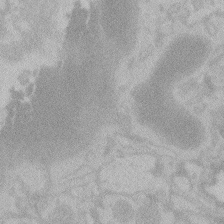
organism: Zebrafish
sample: Macrophage infected with Toxoplasma gondii